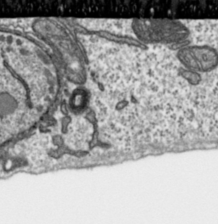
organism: Toxoplasma gondii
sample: Parasites in a vacuole inside a host cell